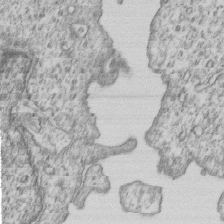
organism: Human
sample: MDA-MB-231 cells